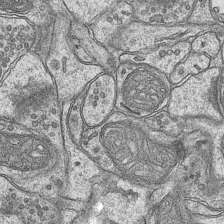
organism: Mouse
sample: CA1 Hippocampus